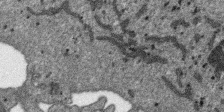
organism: Human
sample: Lung epithelial cells infected with SARS-CoV-2